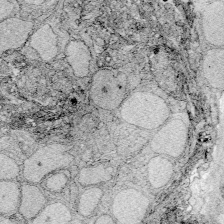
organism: Zebrafish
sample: Whole-Brain